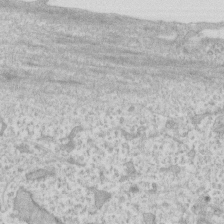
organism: Human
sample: Fibroblast cells